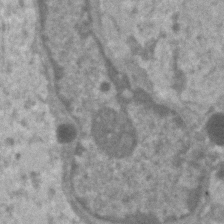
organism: Human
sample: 1205lu cells